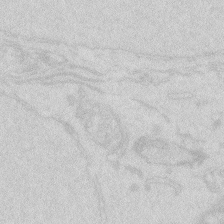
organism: Zebrafish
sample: Macrophage